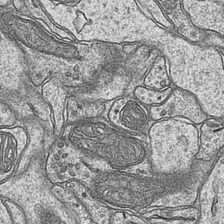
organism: Mouse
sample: CA1 Hippocampus